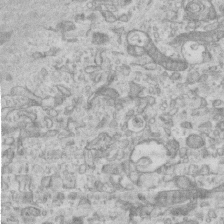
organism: Mouse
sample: Centriole in ependymal cells